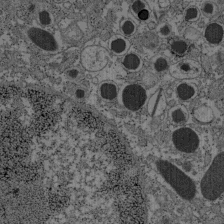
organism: C57BL Mouse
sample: Pancreatic islet